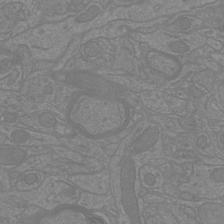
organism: Mouse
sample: Cortical neurons